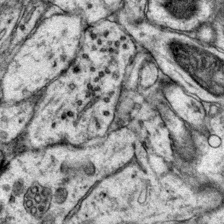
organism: Mouse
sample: Primary visual cortex